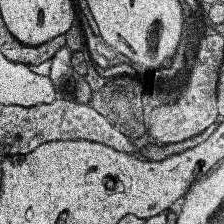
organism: Human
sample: Temporal Lobe